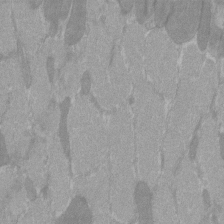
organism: C57BL Mouse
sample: Tibialis anterior muscle cell